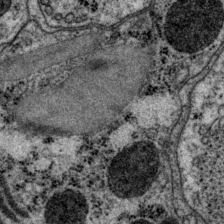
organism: P. pacificus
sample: Pharynx